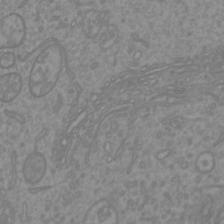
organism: Mouse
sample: Cortical neurons